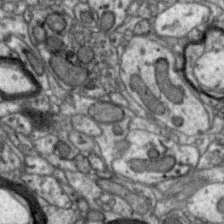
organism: Zebra finch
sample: Brain